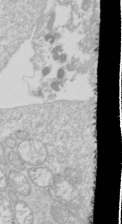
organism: Drosophila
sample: Cell division; meiosis; drosophila spermatocytes